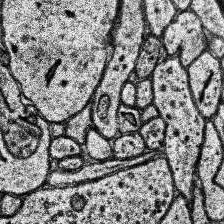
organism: Human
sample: Temporal Lobe